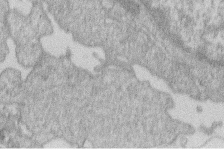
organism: Human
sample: Macrophage cells